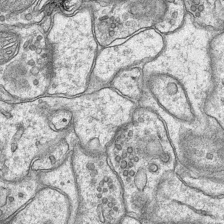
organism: Mouse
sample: CA1 Hippocampus